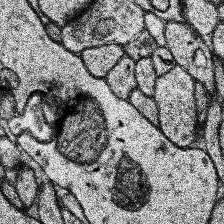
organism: Human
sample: Temporal Lobe